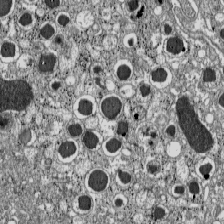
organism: C57BL Mouse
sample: Pancreatic islet